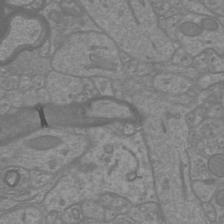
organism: Mouse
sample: Cortical neurons